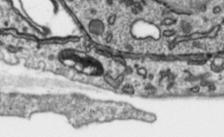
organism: Toxoplasma gondii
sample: Parasites in a vacuole inside a host cell